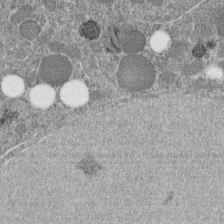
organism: C. elegans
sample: C. elegans embryo early stage